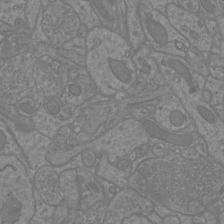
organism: Mouse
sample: Cortical neurons